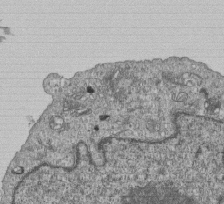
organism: Human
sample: MDA-MB-231 cells